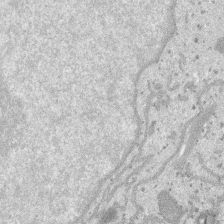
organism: Human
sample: Lung epithelial cells infected with SARS-CoV-2